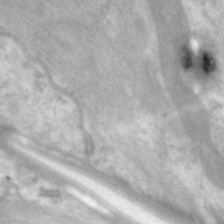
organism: C. elegans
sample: Pharynx